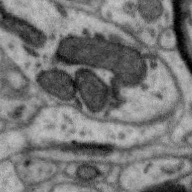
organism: Zebra finch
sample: Brain